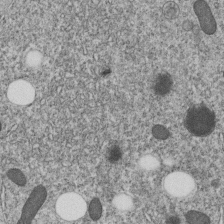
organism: C. elegans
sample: C. elegans embryo early stage